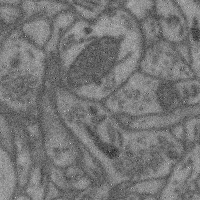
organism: Mouse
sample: Cerebral cortex